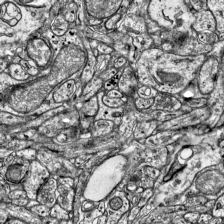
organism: Mouse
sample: Visual Cortex